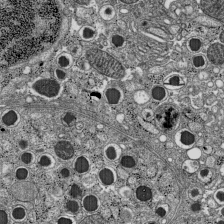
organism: C57BL Mouse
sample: Pancreatic islet